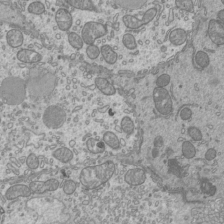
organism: Mouse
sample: Cilia; mouse epididymis